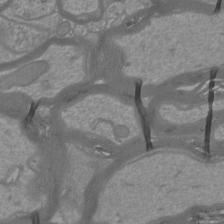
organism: Mouse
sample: Cortical neurons